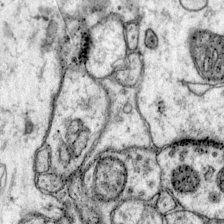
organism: Mouse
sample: Primary visual cortex